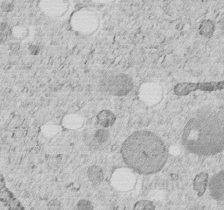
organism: C. elegans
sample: C. elegans embryo early stage